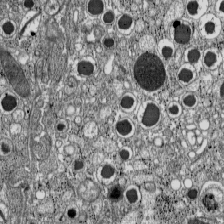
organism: C57BL Mouse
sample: Pancreatic islet